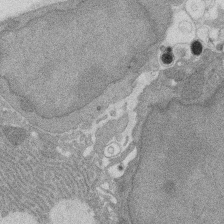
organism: Rat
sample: Salivary granule